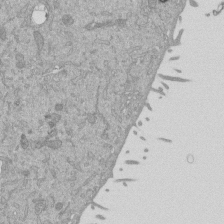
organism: Mouse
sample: ED-1 cell nuclei; centrioles